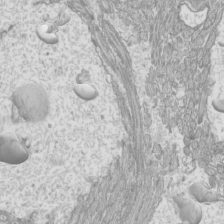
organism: Mouse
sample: Cilia; mouse epididymis